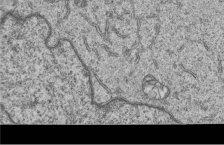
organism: Human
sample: MDA-MB-231 cells